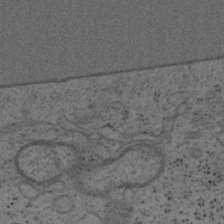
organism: Human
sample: HeLa cells